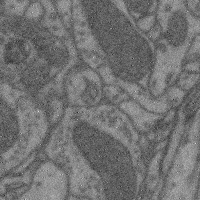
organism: Mouse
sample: Cerebral cortex